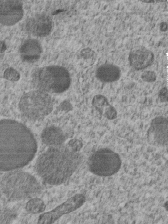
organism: C. elegans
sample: C. elegans embryo early stage